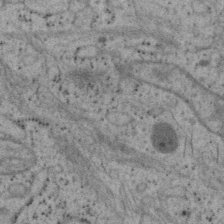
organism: Human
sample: HeLa cells